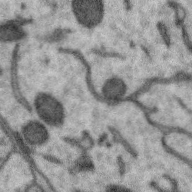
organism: Zebra finch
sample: Brain